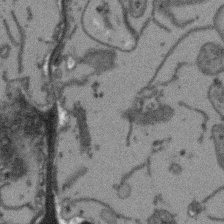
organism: Arabidopsis thaliana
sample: Root tip